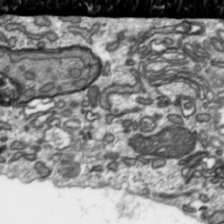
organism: Toxoplasma gondii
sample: Parasites in a vacuole inside a host cell